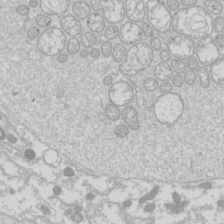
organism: Drosophila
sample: Cell division; meiosis; drosophila spermatocytes